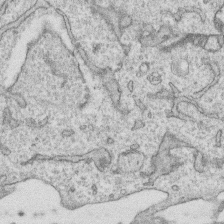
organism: Human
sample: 1205lu cells